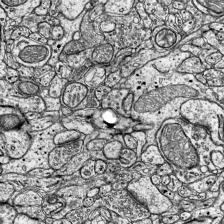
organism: Mouse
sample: Visual Cortex